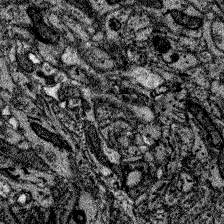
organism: Zebrafish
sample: Larval olfactory bulb